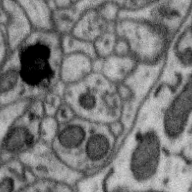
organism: Zebra finch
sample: Brain